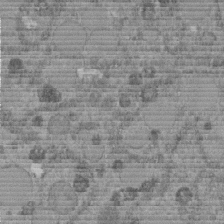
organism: C. elegans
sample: C. elegans embryo early stage